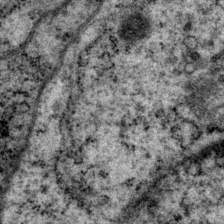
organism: P. pacificus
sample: Pharynx